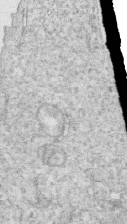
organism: Human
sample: HeLa cell HIV synapse